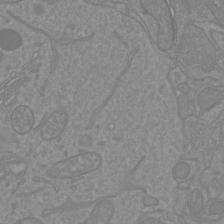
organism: Mouse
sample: Cortical neurons